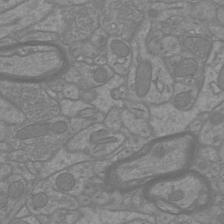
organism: Mouse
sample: Cortical neurons